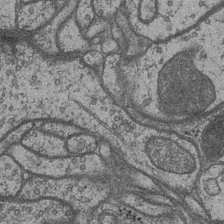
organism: Drosophila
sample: Optic medulla